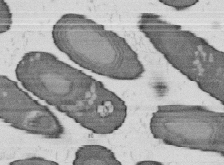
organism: B. subtilis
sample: Bacterial spore